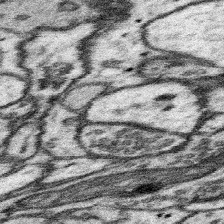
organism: Mouse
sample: Somatosensory cortex neuropil